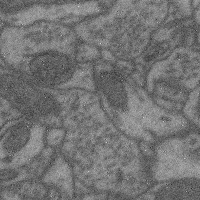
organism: Mouse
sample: Cerebral cortex